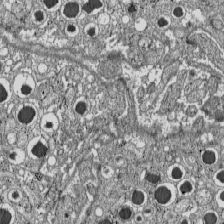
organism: C57BL Mouse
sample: Pancreatic islet